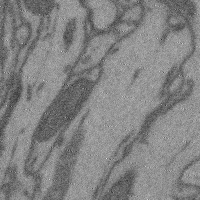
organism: Mouse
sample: Cerebral cortex